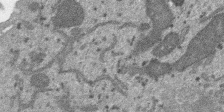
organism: Human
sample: Lung epithelial cells infected with SARS-CoV-2